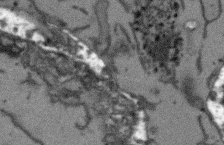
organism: Arabidopsis thaliana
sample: Root tip